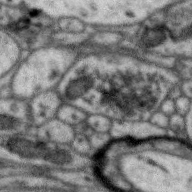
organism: Zebra finch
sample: Brain